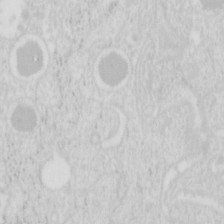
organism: Mouse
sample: Pancreas